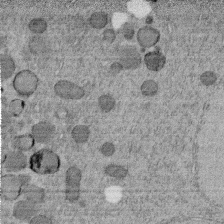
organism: C. elegans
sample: C. elegans embryo early stage